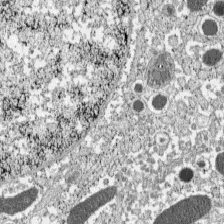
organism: C57BL Mouse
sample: Pancreatic islet